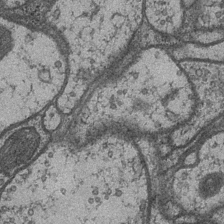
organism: Drosophila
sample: Optic medulla